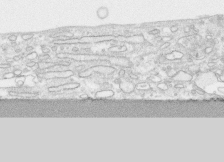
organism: Human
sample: CRL-1474